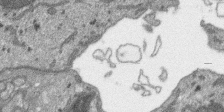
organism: Human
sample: Lung epithelial cells infected with SARS-CoV-2